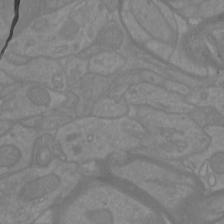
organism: Mouse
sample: Cortical neurons